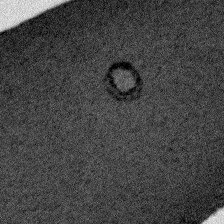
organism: Plasmodium falciparum